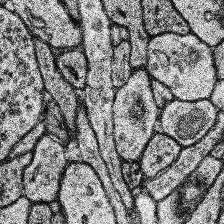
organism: Human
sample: Temporal Lobe